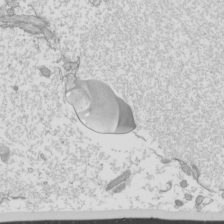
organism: Mouse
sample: Cilia; mouse epididymis